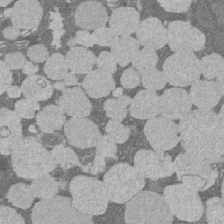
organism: Rat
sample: Salivary granule